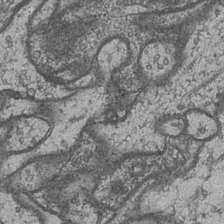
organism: Drosophila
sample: Optic medulla